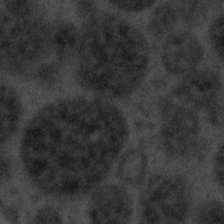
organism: Tuwongella immobilis